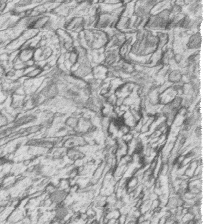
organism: Zebrafish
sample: synaptic ribbons in rod cells and cone cells